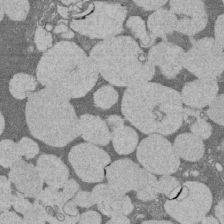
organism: Rat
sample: Salivary granule